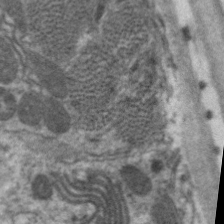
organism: C. elegans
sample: Pharynx